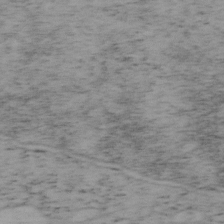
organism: Mouse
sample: OT-I killer T cells with ID8 ovarian cancer cells